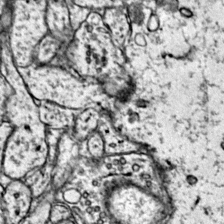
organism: Mouse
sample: Primary visual cortex